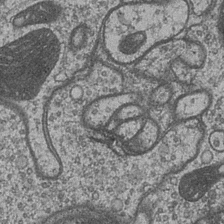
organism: Drosophila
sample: Optic medulla